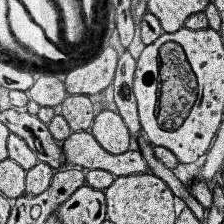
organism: Human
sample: Temporal Lobe